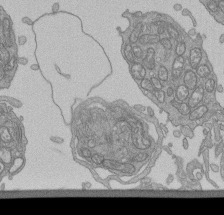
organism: Human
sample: Retinal organoid Rod and Cone cells